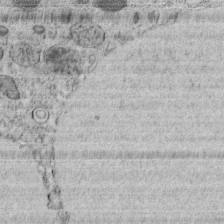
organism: C. elegans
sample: C. elegans embryo early stage